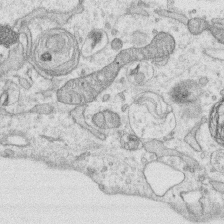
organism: Human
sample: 1205lu cells